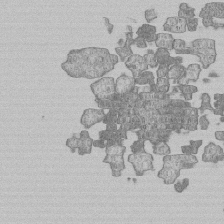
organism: Human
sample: MDA-MB-231 cells